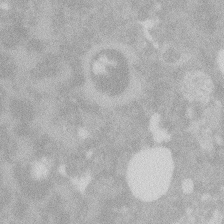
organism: Zebrafish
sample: Macrophage